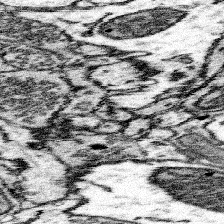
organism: Mouse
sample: Somatosensory cortex neuropil